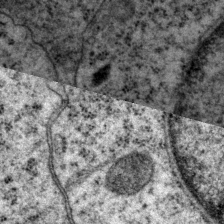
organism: P. pacificus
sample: Pharynx